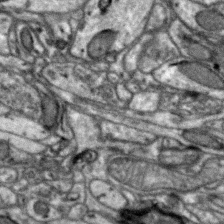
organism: Zebra finch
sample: Brain